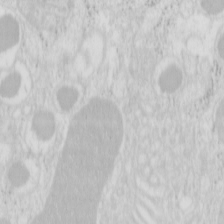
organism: Mouse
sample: Pancreas